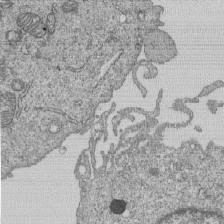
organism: Human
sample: MDA-MB-231 cells